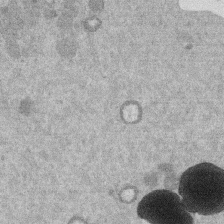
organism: Mouse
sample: Dividing mouse embryo 1 cell stage